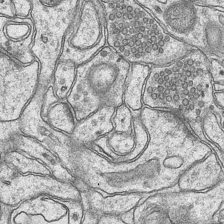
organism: Mouse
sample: CA1 Hippocampus